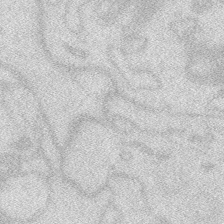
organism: Zebrafish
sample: Macrophage